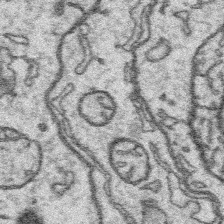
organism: Platynereis dumerilii